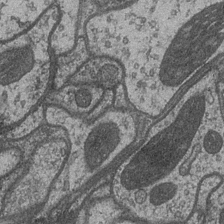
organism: Drosophila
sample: Optic medulla